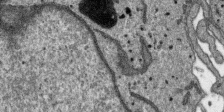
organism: Human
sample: Lung epithelial cells, uninfected (mock) control